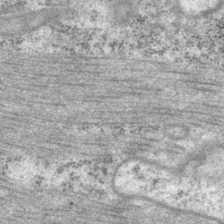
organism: P. pacificus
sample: Pharynx